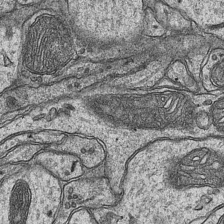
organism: Mouse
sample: CA1 Hippocampus